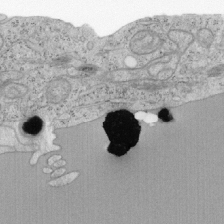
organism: Human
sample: HeLa cells